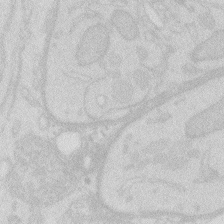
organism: Zebrafish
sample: Macrophage